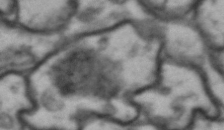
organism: Drosophila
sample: Brain